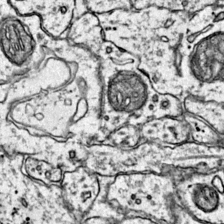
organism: Mouse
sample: Primary visual cortex